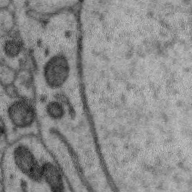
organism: Zebra finch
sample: Brain